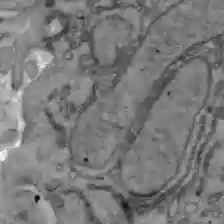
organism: C57BL Mouse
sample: Liver